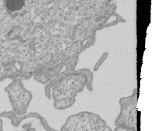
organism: Human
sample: MDA-MB-231 cells